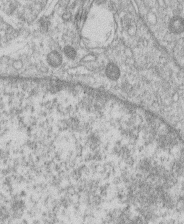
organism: Human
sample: Macrophage cells